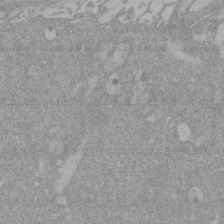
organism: Mouse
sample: ED-1 cell nuclei; centrioles